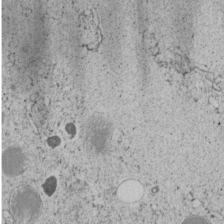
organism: C. elegans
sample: C. elegans embryo early stage